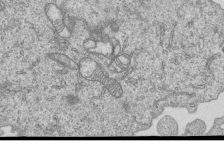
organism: Human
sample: MDA-MB-231 cells